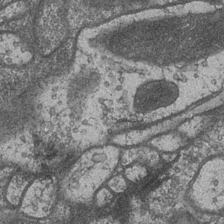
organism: Drosophila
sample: Optic medulla